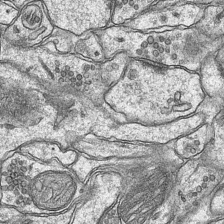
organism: Mouse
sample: CA1 Hippocampus